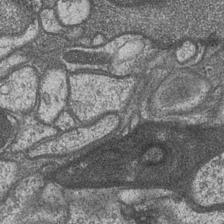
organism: Drosophila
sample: Optic medulla